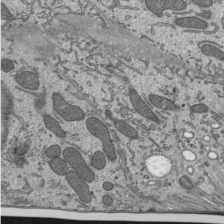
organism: Mouse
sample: Mouse epididymis efferent ductule cilia